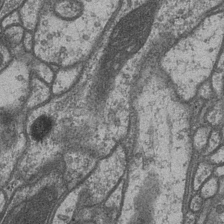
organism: Drosophila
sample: Optic medulla